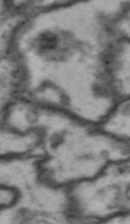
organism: Drosophila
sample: Brain